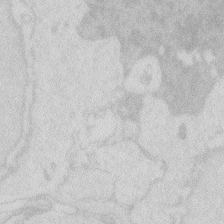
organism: Zebrafish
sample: Macrophage